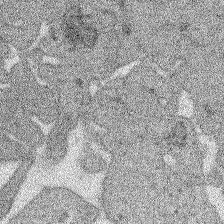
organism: Human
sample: HeLa cells